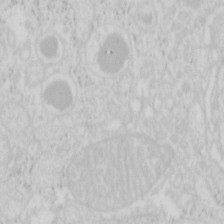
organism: Mouse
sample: Pancreas